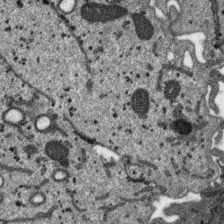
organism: Human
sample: Lung epithelial cells infected with SARS-CoV-2